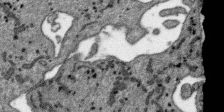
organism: Human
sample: Lung epithelial cells, uninfected (mock) control